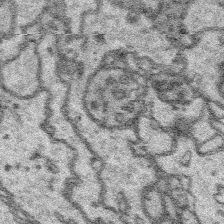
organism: Platynereis dumerilii